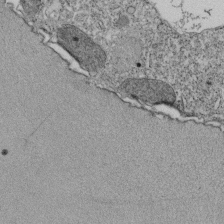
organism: Tetrahymena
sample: Cilia in tetrahymena